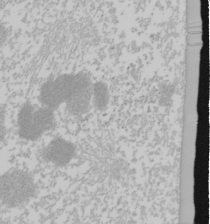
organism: Mouse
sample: Cancer cell death in ED-1 cells